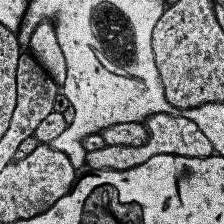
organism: Human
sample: Temporal Lobe